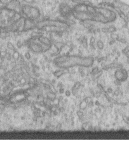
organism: Human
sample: Centriole in RPE cells